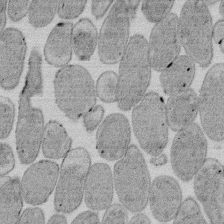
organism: E. coli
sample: Bacterial nucleoid